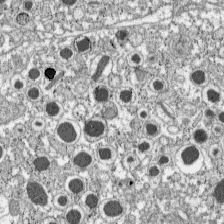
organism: C57BL Mouse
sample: Pancreatic islet